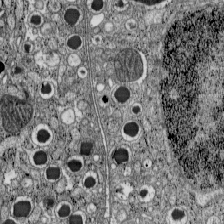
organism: C57BL Mouse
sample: Pancreatic islet